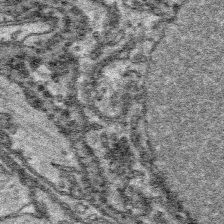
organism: Platynereis dumerilii